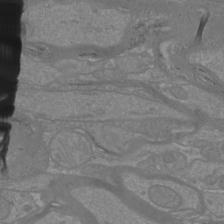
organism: Mouse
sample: Cortical neurons